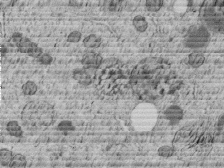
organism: C. elegans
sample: C. elegans embryo early stage